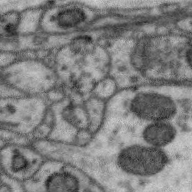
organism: Zebra finch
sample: Brain